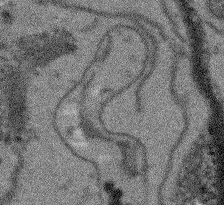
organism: Arabidopsis thaliana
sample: Root tip